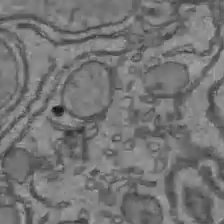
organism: C57BL Mouse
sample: Liver